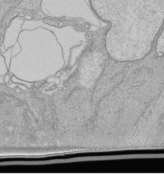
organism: Human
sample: Retinal organoid Rod and Cone cells